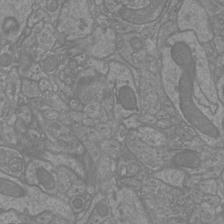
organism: Mouse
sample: Cortical neurons